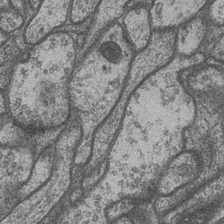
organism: Drosophila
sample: Optic medulla